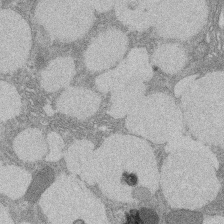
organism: Rat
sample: Salivary granule